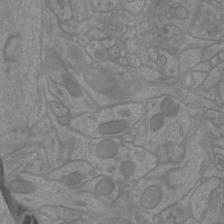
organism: Mouse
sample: Cortical neurons